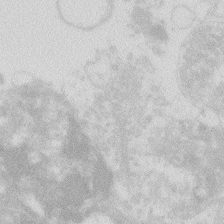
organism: Zebrafish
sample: Macrophage